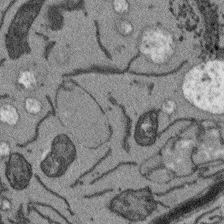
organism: Arabidopsis thaliana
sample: Root tip